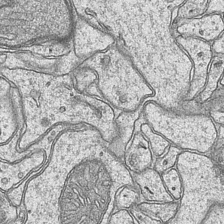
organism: Mouse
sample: CA1 Hippocampus